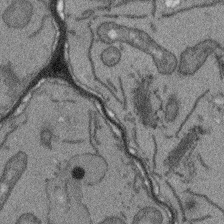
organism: Arabidopsis thaliana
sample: Root tip